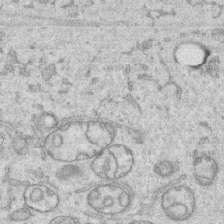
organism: Human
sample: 1205lu cells